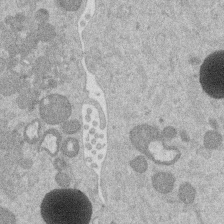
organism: Mouse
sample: Dividing mouse embryo 1 cell stage